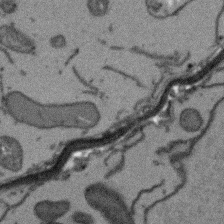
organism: Arabidopsis thaliana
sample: Root tip